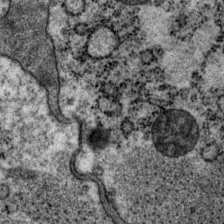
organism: P. pacificus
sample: Pharynx